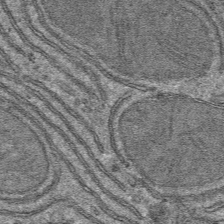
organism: Mouse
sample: Mouse hepatocytes